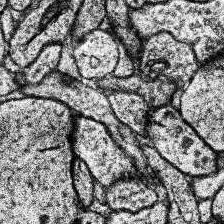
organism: Human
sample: Temporal Lobe